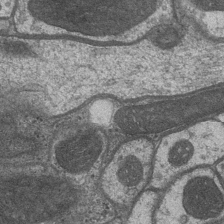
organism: Drosophila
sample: Optic medulla